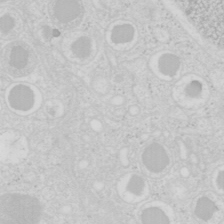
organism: Mouse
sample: Pancreas